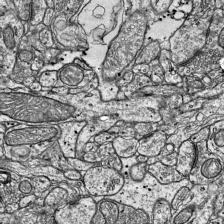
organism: Mouse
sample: Visual Cortex